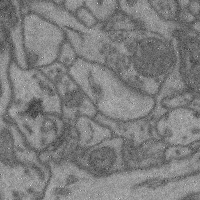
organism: Mouse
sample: Cerebral cortex